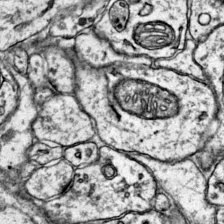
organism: Mouse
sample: Primary visual cortex